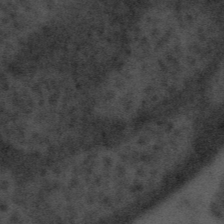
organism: Tuwongella immobilis